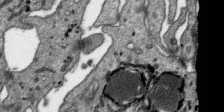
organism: Human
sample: Lung epithelial cells, uninfected (mock) control